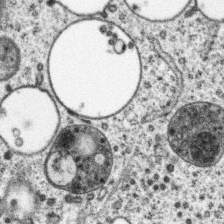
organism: Human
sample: HeLa cells